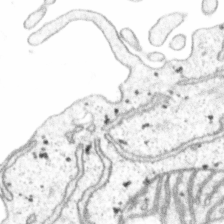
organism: Human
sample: HeLa cells